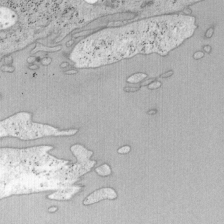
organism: Mouse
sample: OT-I killer T cells with ID8 ovarian cancer cells